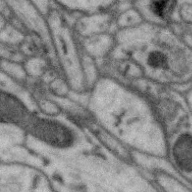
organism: Zebra finch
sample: Brain